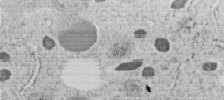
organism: C. elegans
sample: C. elegans embryo early stage